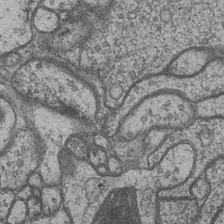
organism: Drosophila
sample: Optic medulla